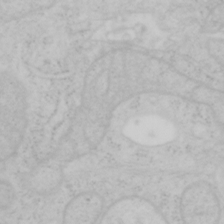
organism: Mouse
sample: OT-I killer T cells with ID8 ovarian cancer cells